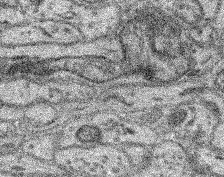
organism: Mouse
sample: Retina